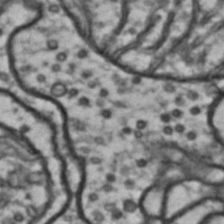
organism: Drosophila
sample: Brain